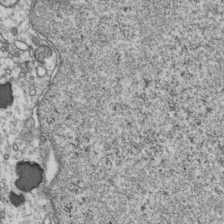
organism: Human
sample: Activated Jurkat CD4+ T cells